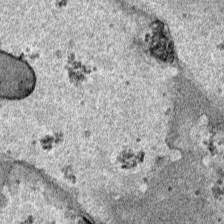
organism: Human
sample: Mitochondria in HCT116 cells